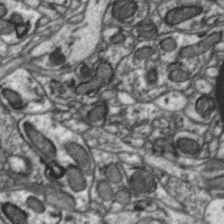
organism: Zebra finch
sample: Brain